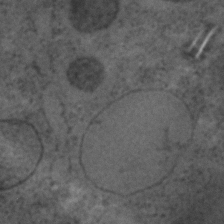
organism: C. elegans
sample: C. elegans embryo